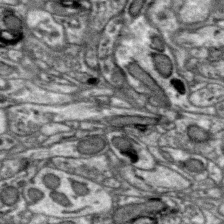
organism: Zebra finch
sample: Brain